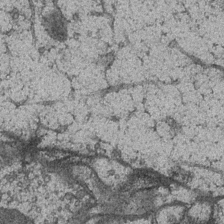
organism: Drosophila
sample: Optic medulla